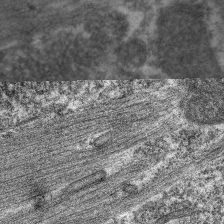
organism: C. elegans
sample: Pharynx